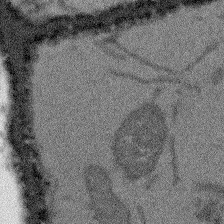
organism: Arabidopsis thaliana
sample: Root tip